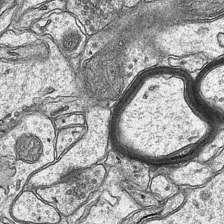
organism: Mouse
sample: CA1 Hippocampus